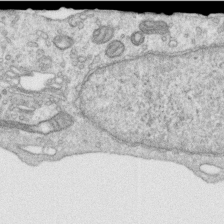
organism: Human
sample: Centriole in RPE cells